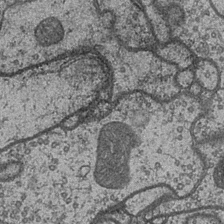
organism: Drosophila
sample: Optic medulla